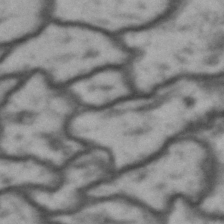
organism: Drosophila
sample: Brain